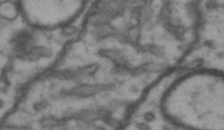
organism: Drosophila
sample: Brain